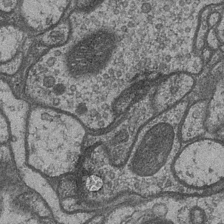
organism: Drosophila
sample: Optic medulla